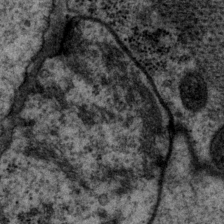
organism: P. pacificus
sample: Pharynx